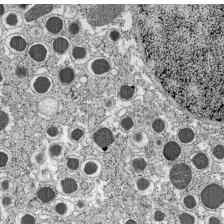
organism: C57BL Mouse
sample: Pancreatic islet